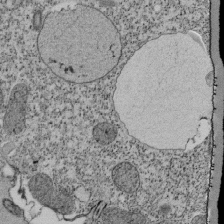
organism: Tetrahymena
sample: Cilia in tetrahymena